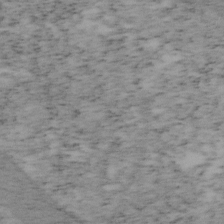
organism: Mouse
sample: OT-I killer T cells with ID8 ovarian cancer cells